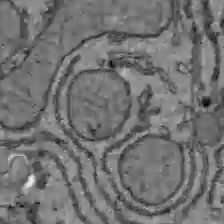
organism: C57BL Mouse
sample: Liver